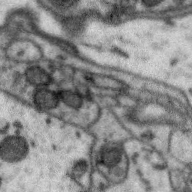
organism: Zebra finch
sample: Brain